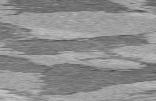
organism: C57BL Mouse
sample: Heart